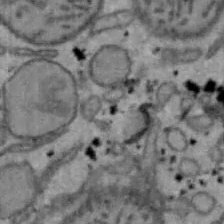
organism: Mouse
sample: Liver